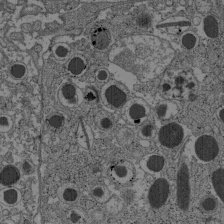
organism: C57BL Mouse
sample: Pancreatic islet